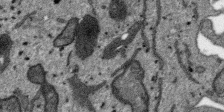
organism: Human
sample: Lung epithelial cells, uninfected (mock) control